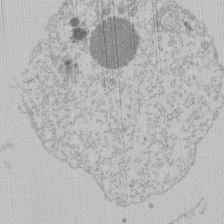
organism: Mouse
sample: Activated Pmel transgenic CD8+ T Cells